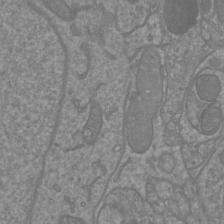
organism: Mouse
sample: Cortical neurons